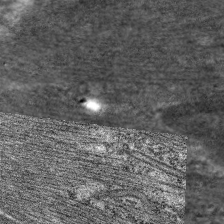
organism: C. elegans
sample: Pharynx